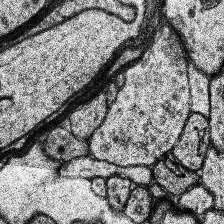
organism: Human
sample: Temporal Lobe